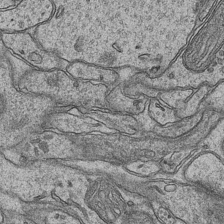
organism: Mouse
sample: CA1 Hippocampus